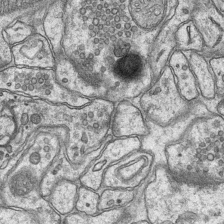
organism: Mouse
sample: CA1 Hippocampus